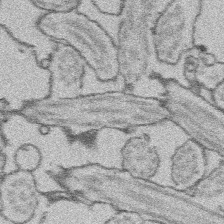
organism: Platynereis dumerilii